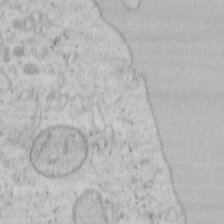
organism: Human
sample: HeLa cells